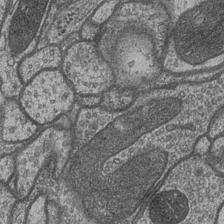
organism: Drosophila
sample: Optic medulla